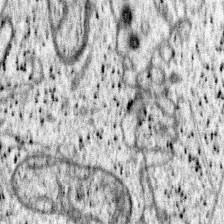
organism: Human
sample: HeLa cells